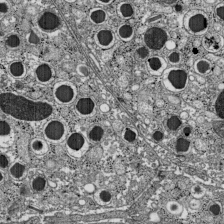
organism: C57BL Mouse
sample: Pancreatic islet